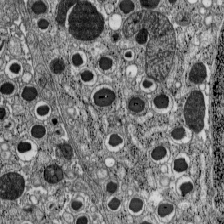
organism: C57BL Mouse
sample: Pancreatic islet